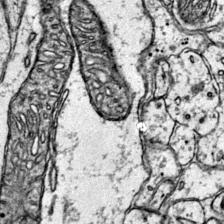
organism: Mouse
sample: Primary visual cortex